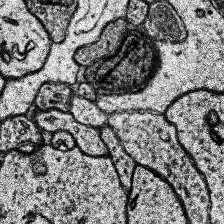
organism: Human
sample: Temporal Lobe